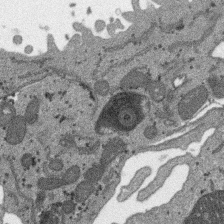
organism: Human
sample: Lung epithelial cells infected with SARS-CoV-2